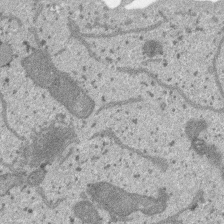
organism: Human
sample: Lung epithelial cells infected with SARS-CoV-2